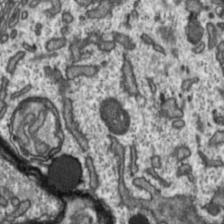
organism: Toxoplasma gondii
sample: Parasites in a vacuole inside a host cell